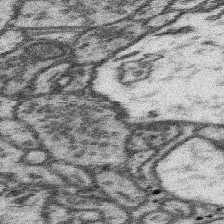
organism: Mouse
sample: Somatosensory cortex neuropil